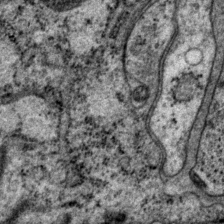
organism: P. pacificus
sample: Pharynx